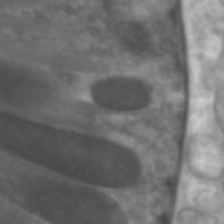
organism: C. elegans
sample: Pharynx